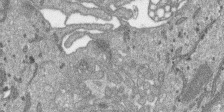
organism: Human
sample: Lung epithelial cells infected with SARS-CoV-2